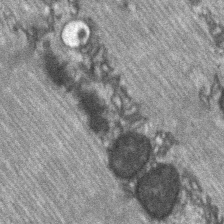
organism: C57BL Mouse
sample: Soleus